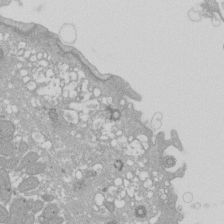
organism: Xenopus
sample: Cilia; centrioles in frog embryo cells